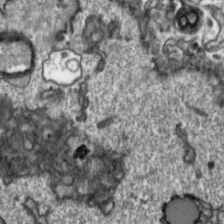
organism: Toxoplasma gondii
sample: Parasites in a vacuole inside a host cell